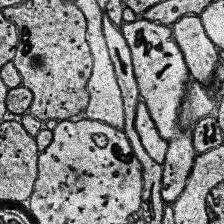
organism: Human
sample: Temporal Lobe